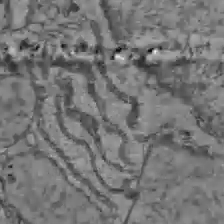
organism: C57BL Mouse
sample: Liver